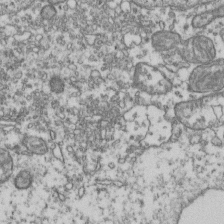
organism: Human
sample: Activated Jurkat CD4+ T cells